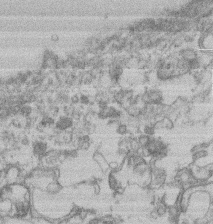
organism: Mouse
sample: T cell stromal cell synapse